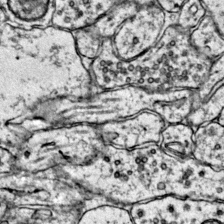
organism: Mouse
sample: Primary visual cortex